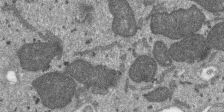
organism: Human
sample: Lung epithelial cells infected with SARS-CoV-2